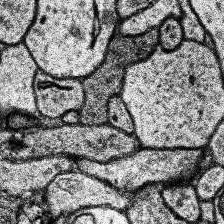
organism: Human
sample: Temporal Lobe